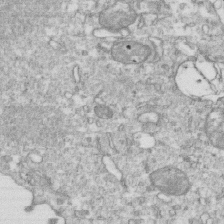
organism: Mouse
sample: Activated OT-1 CD8+ T cells